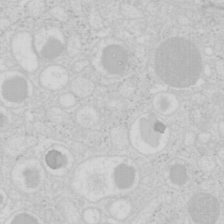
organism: Mouse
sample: Pancreas